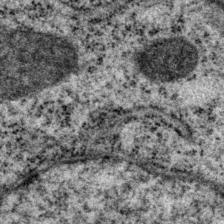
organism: P. pacificus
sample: Pharynx